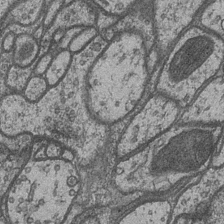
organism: Drosophila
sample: Optic medulla